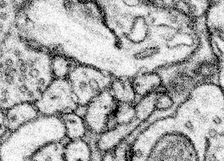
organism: Mouse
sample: Somatosensory cortex neuropil